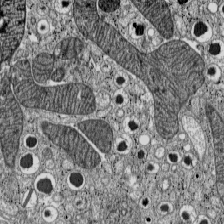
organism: C57BL Mouse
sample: Pancreatic islet